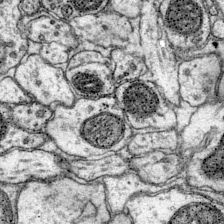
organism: Mouse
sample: Primary visual cortex